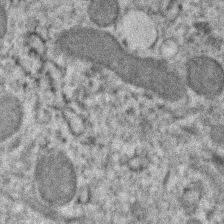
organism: Human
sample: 1205lu cells